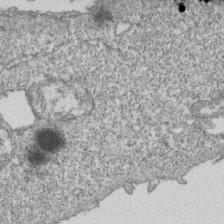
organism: Human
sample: HeLa cell HIV synapse